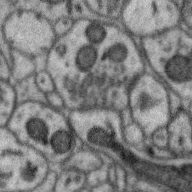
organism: Zebra finch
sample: Brain